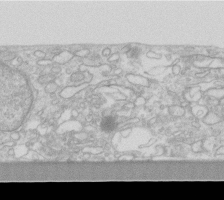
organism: Human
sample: Fibroblast cells